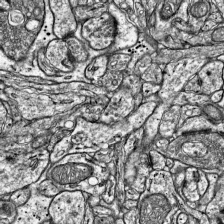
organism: Mouse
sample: Visual Cortex